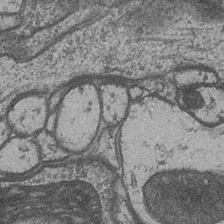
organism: Drosophila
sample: Optic medulla